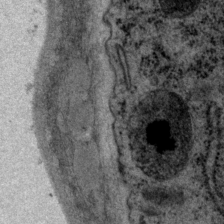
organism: P. pacificus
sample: Pharynx